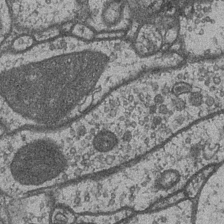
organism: Drosophila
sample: Optic medulla